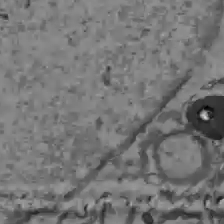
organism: C57BL Mouse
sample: Liver